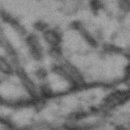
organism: Drosophila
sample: Brain